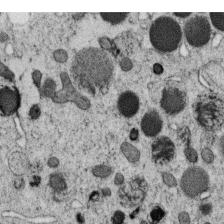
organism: C. elegans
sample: C. elegans oocyte; sperm cells